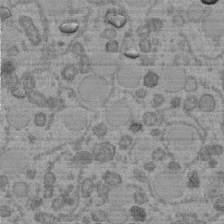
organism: C. elegans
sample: C. elegans embryo early stage